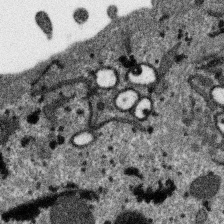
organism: Human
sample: Lung epithelial cells infected with SARS-CoV-2